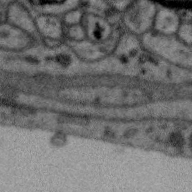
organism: Zebra finch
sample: Brain